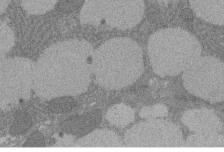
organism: Rat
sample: Salivary granule